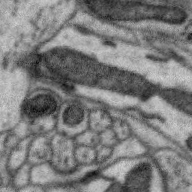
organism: Zebra finch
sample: Brain